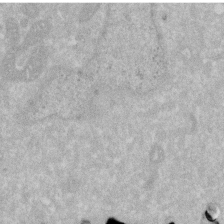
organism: Human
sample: HIV infected U937 cells